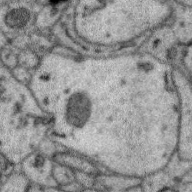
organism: Zebra finch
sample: Brain